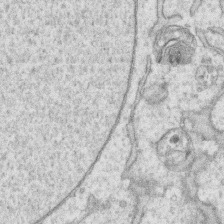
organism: Human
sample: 1205lu cells